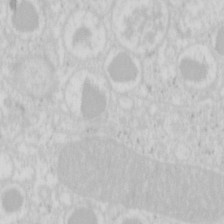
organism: Mouse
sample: Pancreas